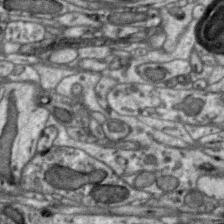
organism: Zebra finch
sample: Brain